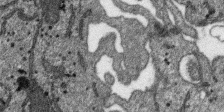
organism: Human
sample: Lung epithelial cells infected with SARS-CoV-2